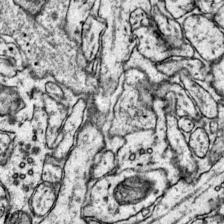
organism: Mouse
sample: Primary visual cortex